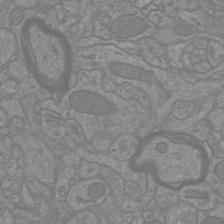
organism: Mouse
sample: Cortical neurons